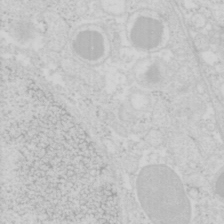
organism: Mouse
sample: Pancreas